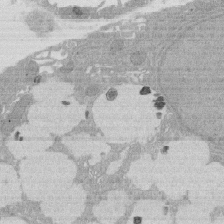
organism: Rat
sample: Salivary granule